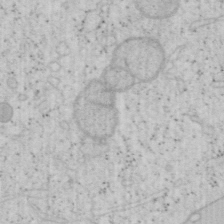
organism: Human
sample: HeLa cells